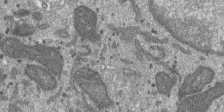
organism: Human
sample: Lung epithelial cells infected with SARS-CoV-2